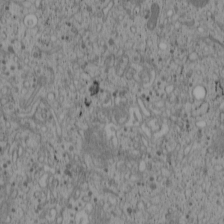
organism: African green monkey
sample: COS-7 cells